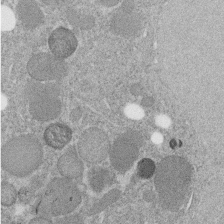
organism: C. elegans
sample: C. elegans embryo early stage